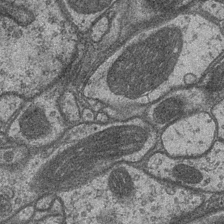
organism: Drosophila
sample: Optic medulla